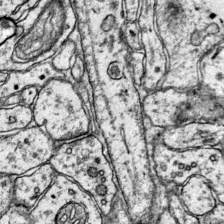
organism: Mouse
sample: Primary visual cortex